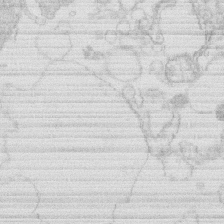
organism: Human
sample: Macrophage cells